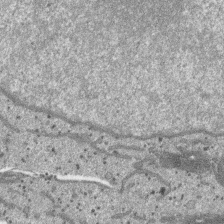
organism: Human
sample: Lung epithelial cells infected with SARS-CoV-2